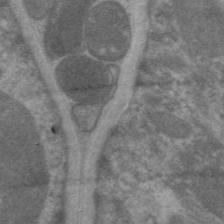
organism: C. elegans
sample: Pharynx